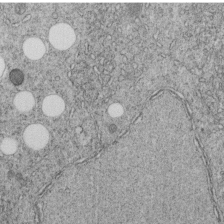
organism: C. elegans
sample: C. elegans embryo early stage